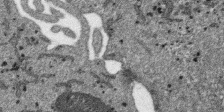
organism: Human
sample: Lung epithelial cells infected with SARS-CoV-2